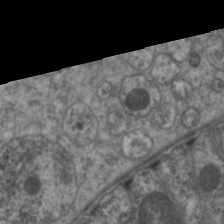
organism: C. elegans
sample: Pharynx